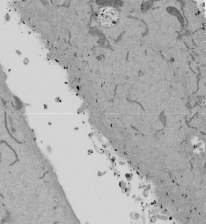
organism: Mouse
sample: ED-1 cell nuclei; centrioles